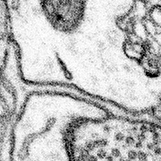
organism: Mouse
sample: Somatosensory cortex neuropil